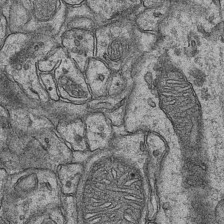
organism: Mouse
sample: CA1 Hippocampus